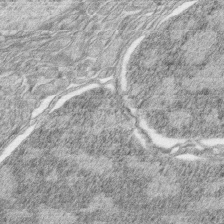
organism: Zebrafish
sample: synaptic ribbons in rod cells and cone cells